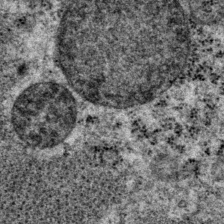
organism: P. pacificus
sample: Pharynx